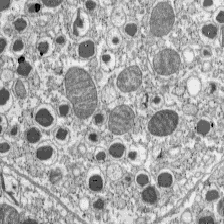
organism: C57BL Mouse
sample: Pancreatic islet